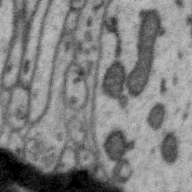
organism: Zebra finch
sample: Brain